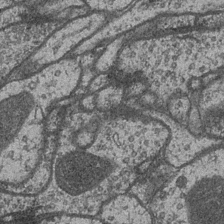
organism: Drosophila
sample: Optic medulla